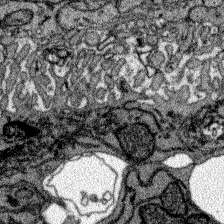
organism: Zebrafish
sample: Larval olfactory bulb